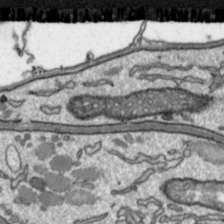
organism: Toxoplasma gondii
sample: Parasites in a vacuole inside a host cell